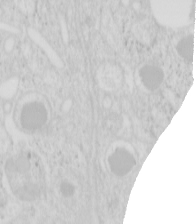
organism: Mouse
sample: Pancreas